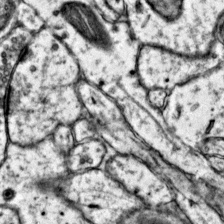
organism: Mouse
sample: Primary visual cortex